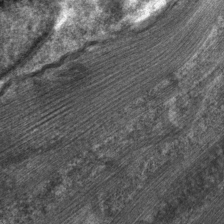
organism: C. elegans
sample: Pharynx